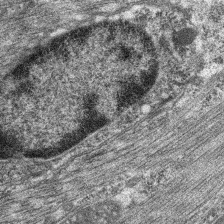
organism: C. elegans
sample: Pharynx